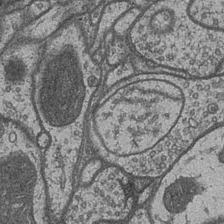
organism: Drosophila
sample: Optic medulla